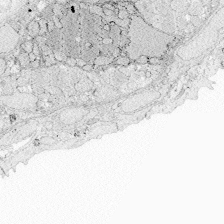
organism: Zebrafish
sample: Whole-Brain